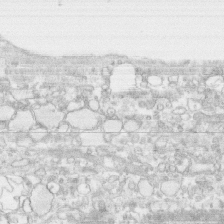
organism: Human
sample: CRL-1474